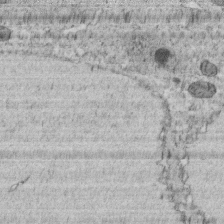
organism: C. elegans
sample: C. elegans embryo early stage